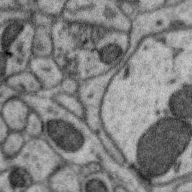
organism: Zebra finch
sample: Brain